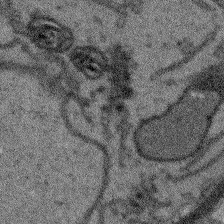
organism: Arabidopsis thaliana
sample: Root tip